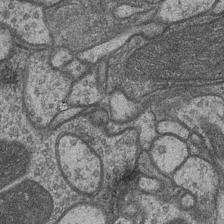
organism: Drosophila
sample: Optic medulla